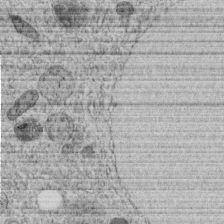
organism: C. elegans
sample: C. elegans embryo early stage